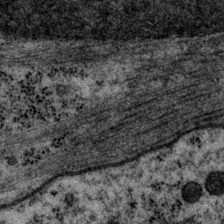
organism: P. pacificus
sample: Pharynx